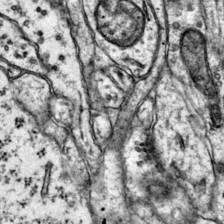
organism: Mouse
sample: Primary visual cortex